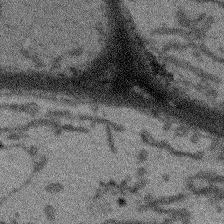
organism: Arabidopsis thaliana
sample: Root tip